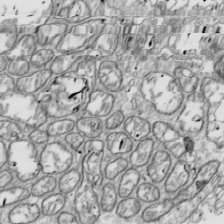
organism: Drosophila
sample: Cell division; meiosis; drosophila spermatocytes